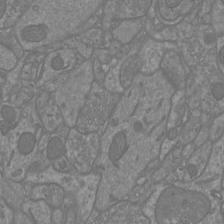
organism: Mouse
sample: Cortical neurons